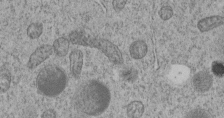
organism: C. elegans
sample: C. elegans embryo early stage